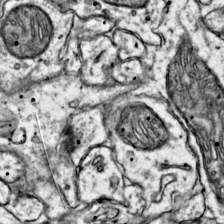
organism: Mouse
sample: Primary visual cortex